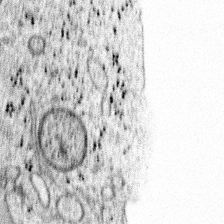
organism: Human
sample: HeLa cells